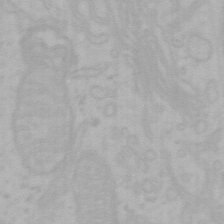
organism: Mouse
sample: Choroid plexus